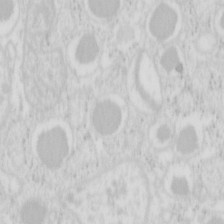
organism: Mouse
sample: Pancreas